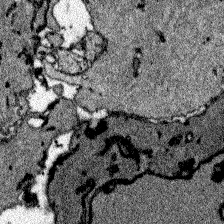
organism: Zebrafish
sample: Larval olfactory bulb